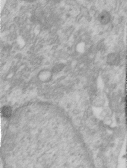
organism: Human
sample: Centriole in RPE cells